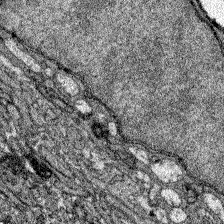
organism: Zebrafish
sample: Larval olfactory bulb